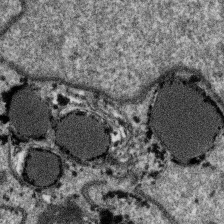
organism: Human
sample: Lung epithelial cells infected with SARS-CoV-2